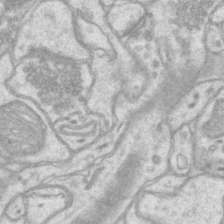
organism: Mouse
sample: CA1 Hippocampus